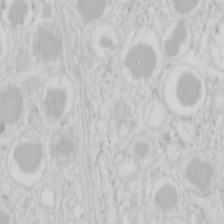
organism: Mouse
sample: Pancreas